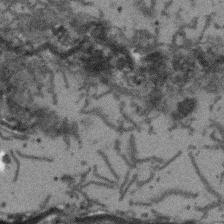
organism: Arabidopsis thaliana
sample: Root tip